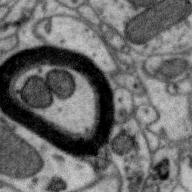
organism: Zebra finch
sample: Brain